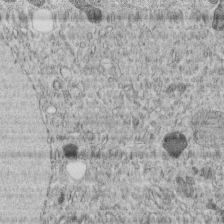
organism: C. elegans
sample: C. elegans embryo early stage